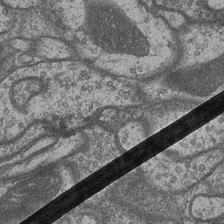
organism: Drosophila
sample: Optic medulla